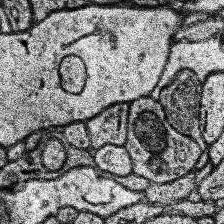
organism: Human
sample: Temporal Lobe